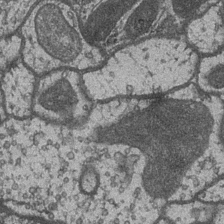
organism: Drosophila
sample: Optic medulla